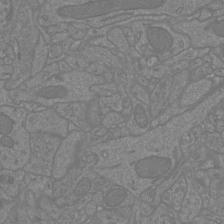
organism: Mouse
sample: Cortical neurons